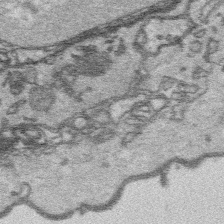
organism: Platynereis dumerilii